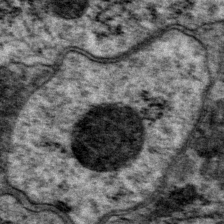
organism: P. pacificus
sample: Pharynx